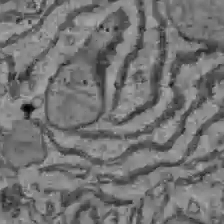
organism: C57BL Mouse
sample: Liver